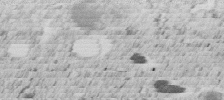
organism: C. elegans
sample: C. elegans embryo early stage